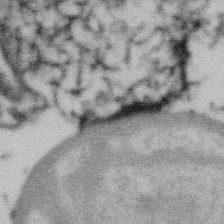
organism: Gemmata obscuriglobus